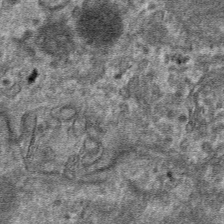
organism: Mouse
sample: Mouse hepatocytes